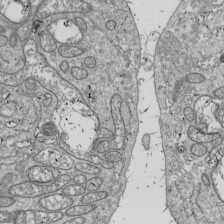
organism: Drosophila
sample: Cell division; meiosis; drosophila spermatocytes